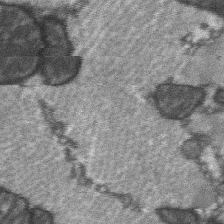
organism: C57BL Mouse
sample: Soleus